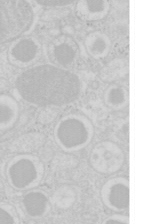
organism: Mouse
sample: Pancreas